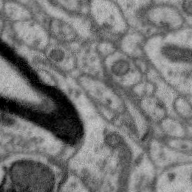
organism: Zebra finch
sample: Brain